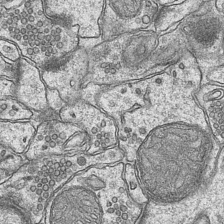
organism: Mouse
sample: CA1 Hippocampus